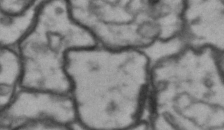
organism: Drosophila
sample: Brain